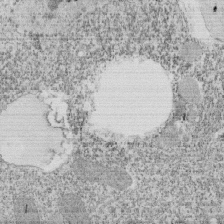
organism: Tetrahymena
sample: Cilia in tetrahymena